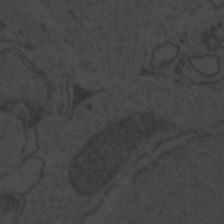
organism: Zebrafish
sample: Macrophage infected with Toxoplasma gondii